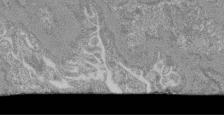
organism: Mouse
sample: Glomerulus